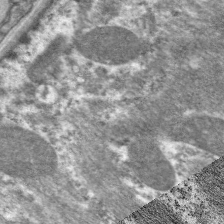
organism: C. elegans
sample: Pharynx